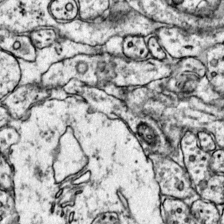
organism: Mouse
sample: Primary visual cortex